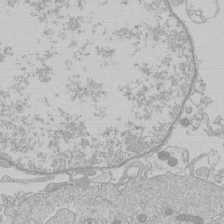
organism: Human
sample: Macrophage cells